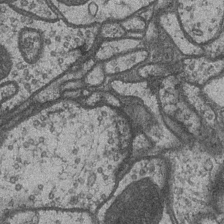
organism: Drosophila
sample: Optic medulla